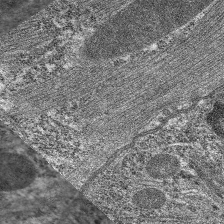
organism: C. elegans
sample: Pharynx